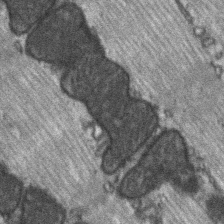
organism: C57BL Mouse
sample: Soleus